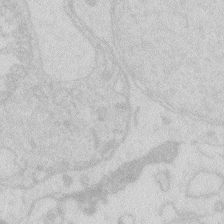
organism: Zebrafish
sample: Macrophage